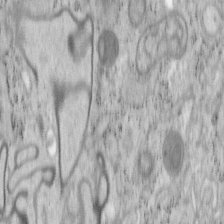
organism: Human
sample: HeLa cells